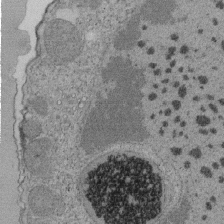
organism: Tetrahymena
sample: Cilia in tetrahymena